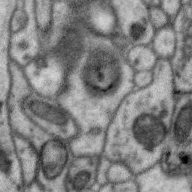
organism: Zebra finch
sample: Brain